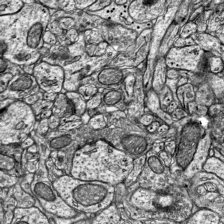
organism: Mouse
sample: Visual Cortex